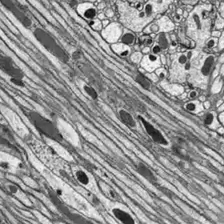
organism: Drosophila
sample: Optic lobe